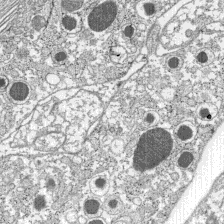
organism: C57BL Mouse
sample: Pancreatic islet